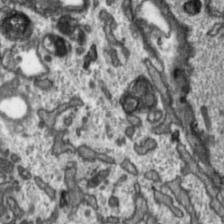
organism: Toxoplasma gondii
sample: Parasites in a vacuole inside a host cell